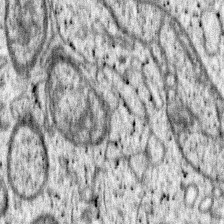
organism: Human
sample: HeLa cells